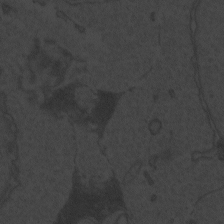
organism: Zebrafish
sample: Macrophage infected with Toxoplasma gondii